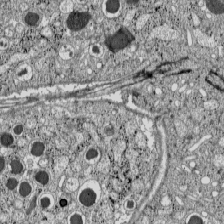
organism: C57BL Mouse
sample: Pancreatic islet